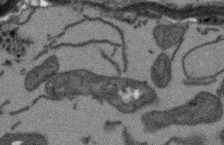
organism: Arabidopsis thaliana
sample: Root tip